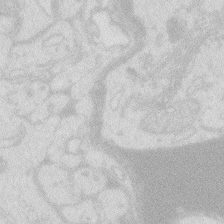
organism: Zebrafish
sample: Macrophage